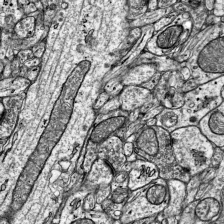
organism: Mouse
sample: Visual Cortex